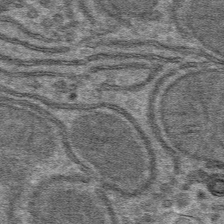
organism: Mouse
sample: Mouse hepatocytes